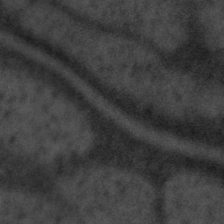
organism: Tuwongella immobilis